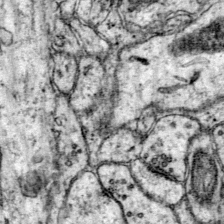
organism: Mouse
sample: Primary visual cortex